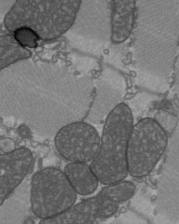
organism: C57BL Mouse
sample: Heart